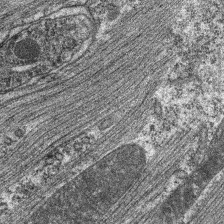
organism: C. elegans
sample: Pharynx